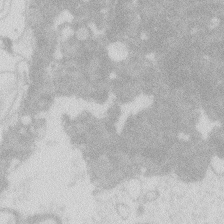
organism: Zebrafish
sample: Macrophage